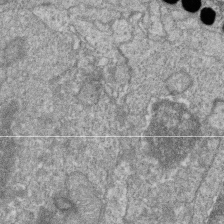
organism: Zebrafish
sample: Cilia; retinal pigment epithelium